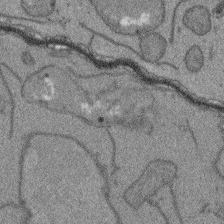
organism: Arabidopsis thaliana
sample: Root tip